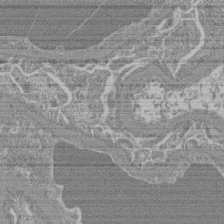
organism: Mouse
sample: Glomerulus